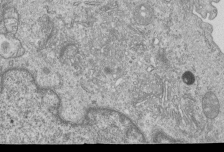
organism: Human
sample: MDA-MB-231 cells